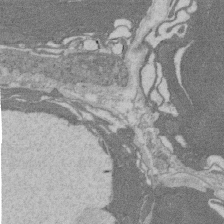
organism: Rat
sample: Salivary granule